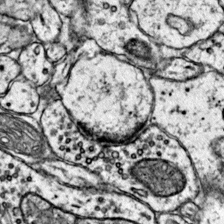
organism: Mouse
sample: Primary visual cortex